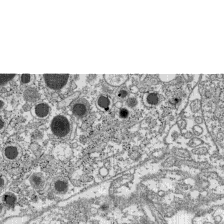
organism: C57BL Mouse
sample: Pancreatic islet